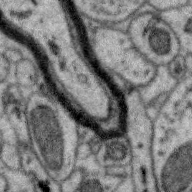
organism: Zebra finch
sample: Brain